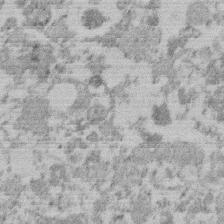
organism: Mouse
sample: Dividing mouse embryo 1 cell stage